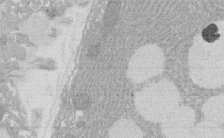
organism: Rat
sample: Salivary granule